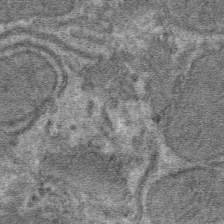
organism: Mouse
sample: Mouse hepatocytes